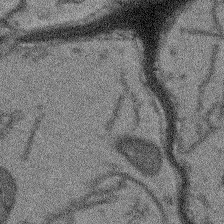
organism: Arabidopsis thaliana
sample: Root tip